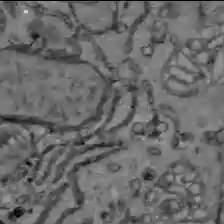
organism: C57BL Mouse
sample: Liver